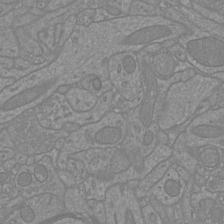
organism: Mouse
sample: Cortical neurons